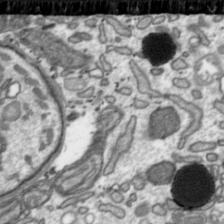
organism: Toxoplasma gondii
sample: Parasites in a vacuole inside a host cell